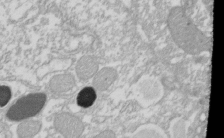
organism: Xenopus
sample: Cilia; centrioles in frog embryo cells